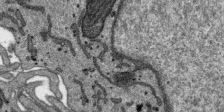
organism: Human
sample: Lung epithelial cells, uninfected (mock) control